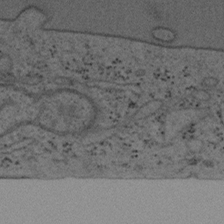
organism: Human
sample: HeLa cells